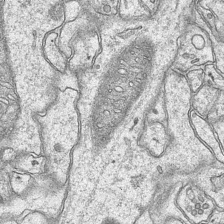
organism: Mouse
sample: CA1 Hippocampus